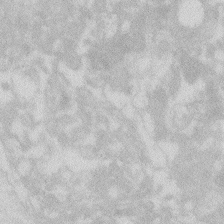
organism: Zebrafish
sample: Macrophage